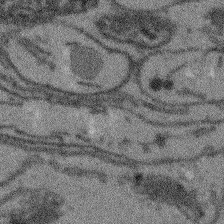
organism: Arabidopsis thaliana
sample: Root tip